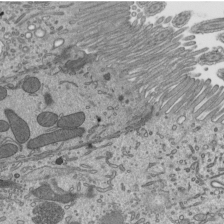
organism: Mouse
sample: Mouse epididymis efferent ductule cilia